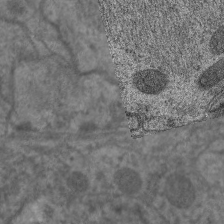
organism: C. elegans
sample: Pharynx